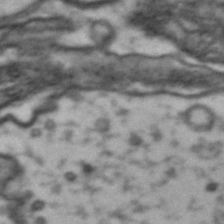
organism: Drosophila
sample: Brain